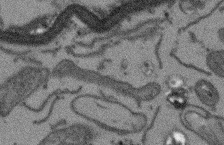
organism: Arabidopsis thaliana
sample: Root tip